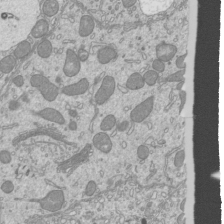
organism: Mouse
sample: Cilia; mouse epididymis